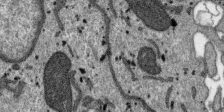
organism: Human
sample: Lung epithelial cells, uninfected (mock) control